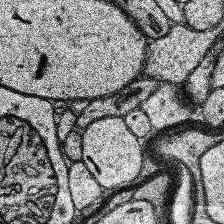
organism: Human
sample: Temporal Lobe